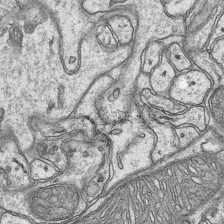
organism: Mouse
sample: CA1 Hippocampus